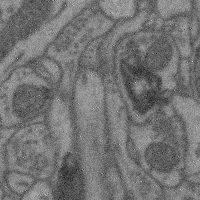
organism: Mouse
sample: Cerebral cortex